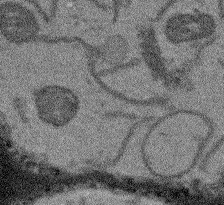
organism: Arabidopsis thaliana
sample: Root tip